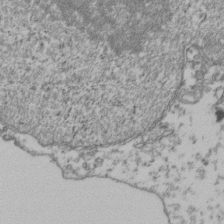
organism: Human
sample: Activated Jurkat CD4+ T cells